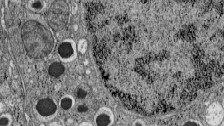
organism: C57BL Mouse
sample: Pancreatic islet